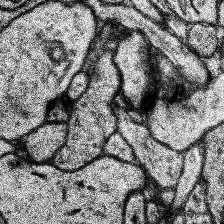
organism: Human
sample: Temporal Lobe